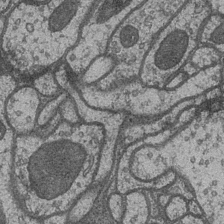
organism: Drosophila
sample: Optic medulla